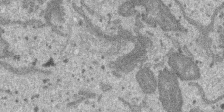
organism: Human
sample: Lung epithelial cells infected with SARS-CoV-2